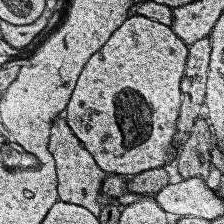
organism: Human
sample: Temporal Lobe